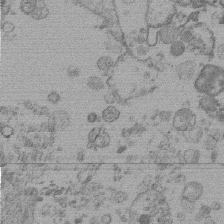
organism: Mouse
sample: Dividing mouse embryo 1 cell stage